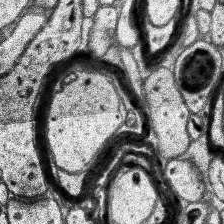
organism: Human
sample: Temporal Lobe